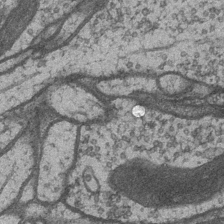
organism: Drosophila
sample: Optic medulla